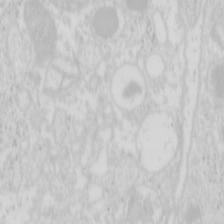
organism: Mouse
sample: Pancreas